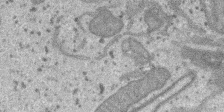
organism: Human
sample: Lung epithelial cells infected with SARS-CoV-2